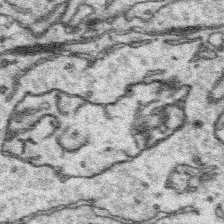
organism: Platynereis dumerilii